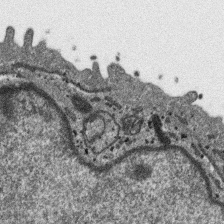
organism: Human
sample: Lung epithelial cells infected with SARS-CoV-2